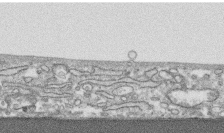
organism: Human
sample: CRL-1474